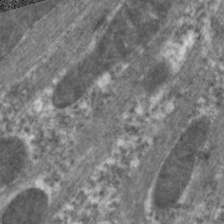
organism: C. elegans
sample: Pharynx